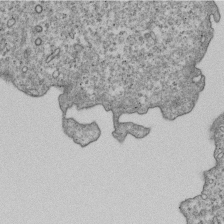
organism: Human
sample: MDA-MB-231 cells